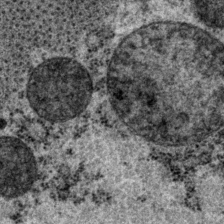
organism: P. pacificus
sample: Pharynx